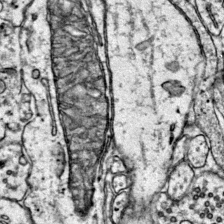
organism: Mouse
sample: Primary visual cortex